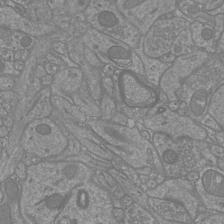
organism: Mouse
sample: Cortical neurons